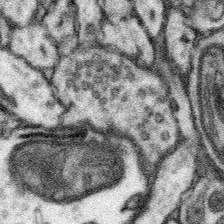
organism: Mouse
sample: Somatosensory cortex neuropil